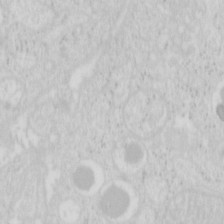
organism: Mouse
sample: Pancreas